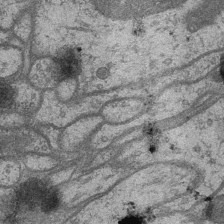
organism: Drosophila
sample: Optic medulla